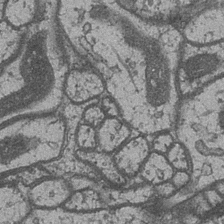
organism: Drosophila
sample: Optic medulla